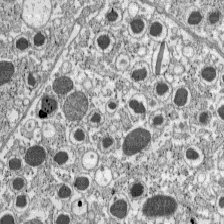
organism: C57BL Mouse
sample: Pancreatic islet